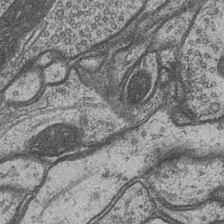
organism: Drosophila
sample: Optic medulla